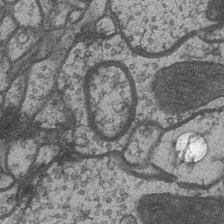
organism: Drosophila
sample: Optic medulla